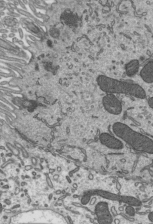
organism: Mouse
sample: Mouse epididymis efferent ductule cilia